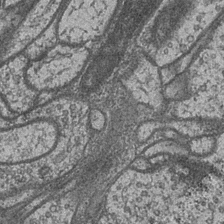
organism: Drosophila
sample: Optic medulla